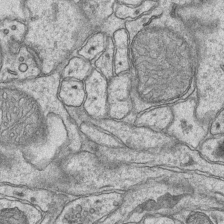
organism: Mouse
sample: CA1 Hippocampus